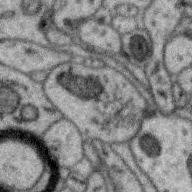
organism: Zebra finch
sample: Brain